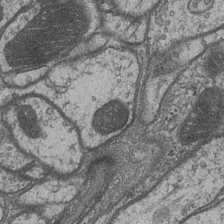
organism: Drosophila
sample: Optic medulla